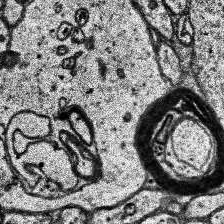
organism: Human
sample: Temporal Lobe